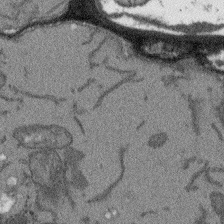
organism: Arabidopsis thaliana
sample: Root tip